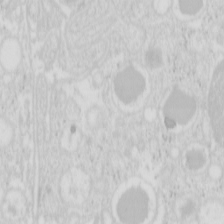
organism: Mouse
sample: Pancreas